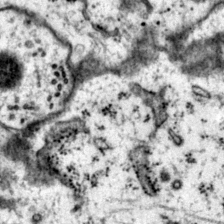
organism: Mouse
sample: Primary visual cortex